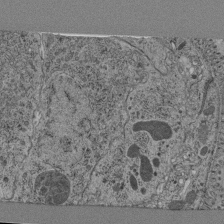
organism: C. elegans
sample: C. elegans pharynx